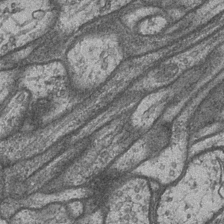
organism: Drosophila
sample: Optic medulla